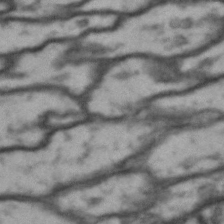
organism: Drosophila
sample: Brain